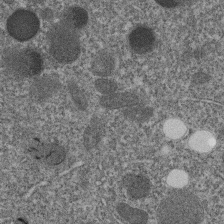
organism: C. elegans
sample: C. elegans embryo early stage